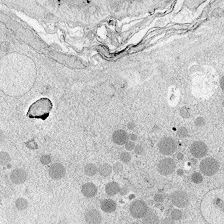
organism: Zebrafish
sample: Whole-Brain